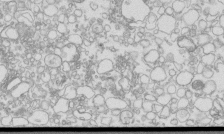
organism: Mouse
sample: Macrophages